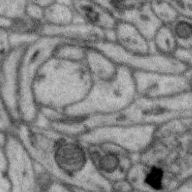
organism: Zebra finch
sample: Brain